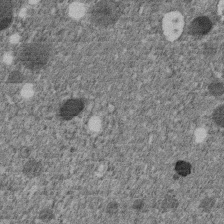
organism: C. elegans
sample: C. elegans embryo early stage